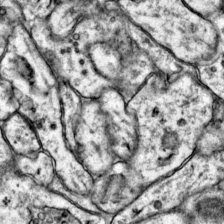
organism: Mouse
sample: Primary visual cortex